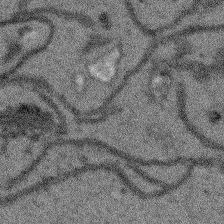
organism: Arabidopsis thaliana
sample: Root tip